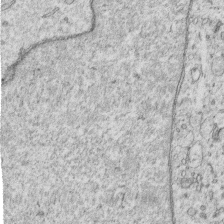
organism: Human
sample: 1205lu cells